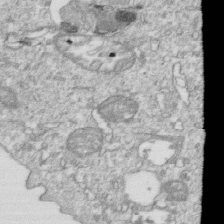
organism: Mouse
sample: Activated OT-1 CD8+ T cells